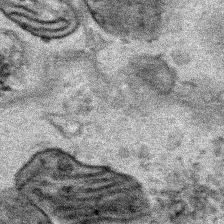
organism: Human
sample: Mitochondria in HCT116 cells